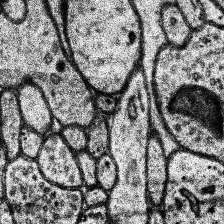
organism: Human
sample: Temporal Lobe